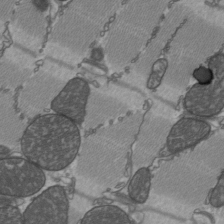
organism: C57BL Mouse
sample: Heart